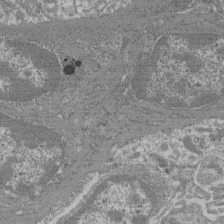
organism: Mouse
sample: Glomerulus